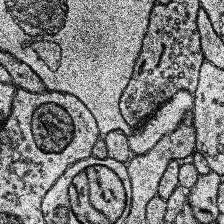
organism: Human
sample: Temporal Lobe